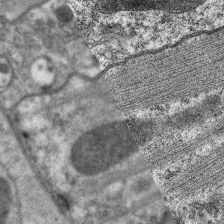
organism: C. elegans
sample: Pharynx